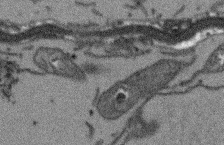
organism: Arabidopsis thaliana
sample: Root tip